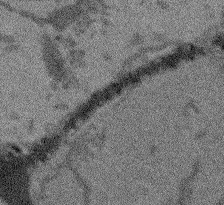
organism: Arabidopsis thaliana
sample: Root tip